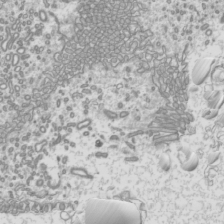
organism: Mouse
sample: Cilia; mouse epididymis